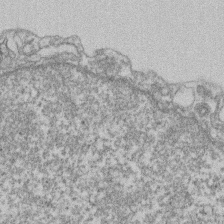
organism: Mouse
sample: T cell stromal cell synapse